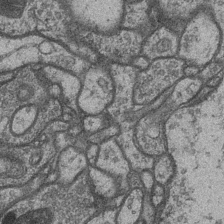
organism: Drosophila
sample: Optic medulla